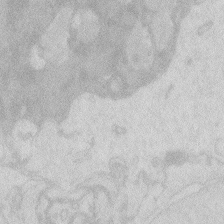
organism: Zebrafish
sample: Macrophage